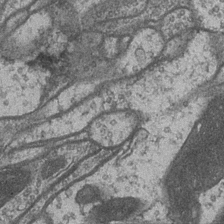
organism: Drosophila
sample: Optic medulla